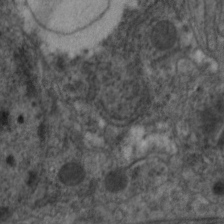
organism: C. elegans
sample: Pharynx